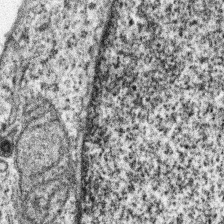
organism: Human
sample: HeLa cells